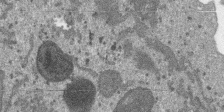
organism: Human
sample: Lung epithelial cells infected with SARS-CoV-2